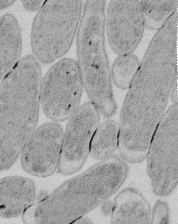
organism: E. coli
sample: Bacterial nucleoid